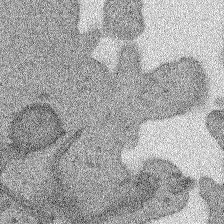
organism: Human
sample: HeLa cells